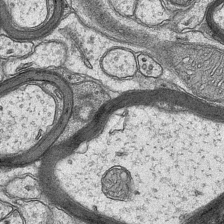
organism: Mouse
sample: CA1 Hippocampus